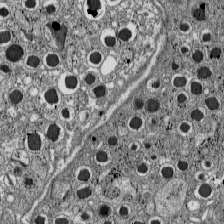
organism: C57BL Mouse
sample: Pancreatic islet